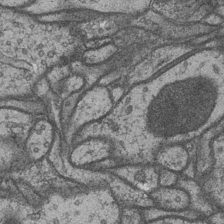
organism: Drosophila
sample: Optic medulla